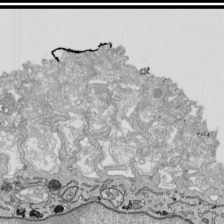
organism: Human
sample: Mitochondria in HCT116 cells